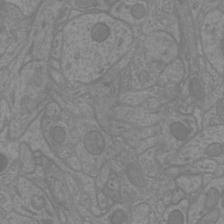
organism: Mouse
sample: Cortical neurons